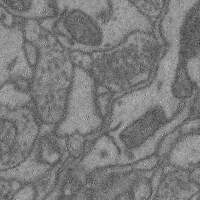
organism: Mouse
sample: Cerebral cortex